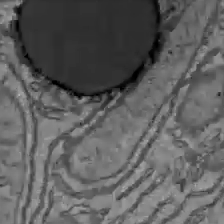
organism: C57BL Mouse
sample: Liver